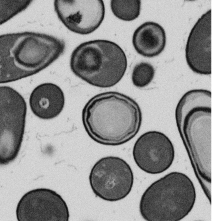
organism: B. subtilis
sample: Bacterial spore